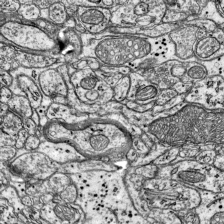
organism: Mouse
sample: Visual Cortex